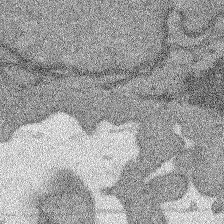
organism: Human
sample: HeLa cells